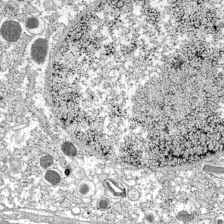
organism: C57BL Mouse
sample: Pancreatic islet